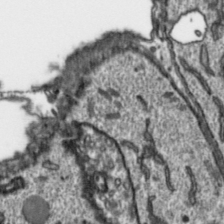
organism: Toxoplasma gondii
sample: Parasites in a vacuole inside a host cell